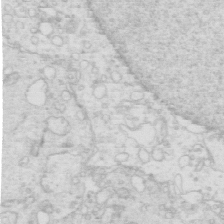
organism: Mouse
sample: Multiciliated cells